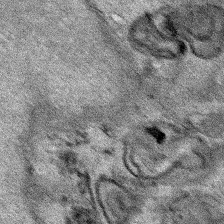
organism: Human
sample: Mitochondria in HCT116 cells